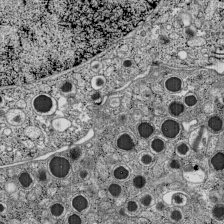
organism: C57BL Mouse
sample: Pancreatic islet